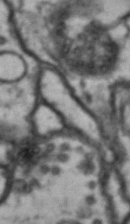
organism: Drosophila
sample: Brain